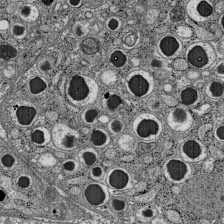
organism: C57BL Mouse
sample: Pancreatic islet